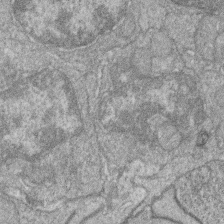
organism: Zebrafish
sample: Cilia; retinal pigment epithelium